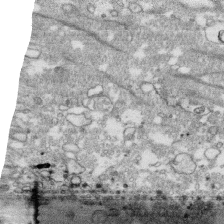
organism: Human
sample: CRL-1474